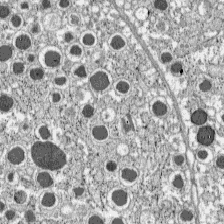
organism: C57BL Mouse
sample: Pancreatic islet